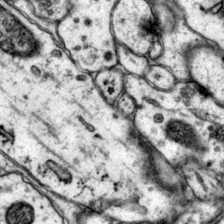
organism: Mouse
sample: Primary visual cortex